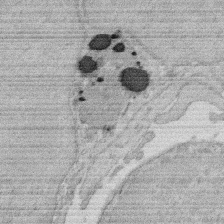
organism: Rat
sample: Salivary granule